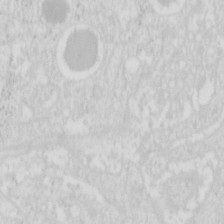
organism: Mouse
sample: Pancreas